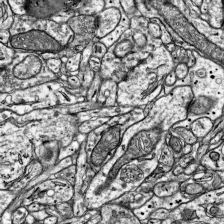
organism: Mouse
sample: Visual Cortex